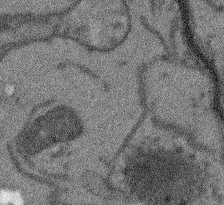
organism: Arabidopsis thaliana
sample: Root tip